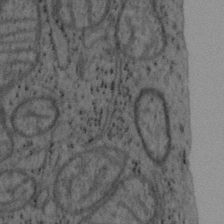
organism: Human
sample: HeLa cells